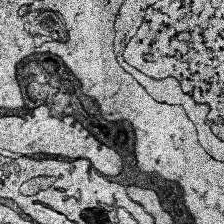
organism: Human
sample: Temporal Lobe